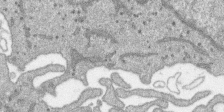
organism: Human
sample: Lung epithelial cells infected with SARS-CoV-2